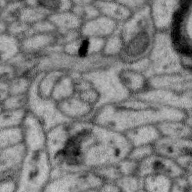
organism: Zebra finch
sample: Brain